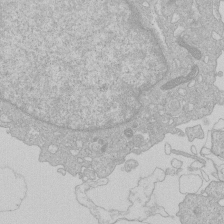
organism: Human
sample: Macrophage cells